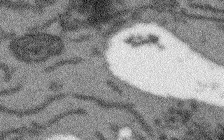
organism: Arabidopsis thaliana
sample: Root tip